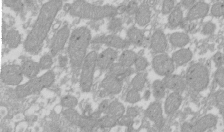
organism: Xenopus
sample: Cilia; centrioles in frog embryo cells